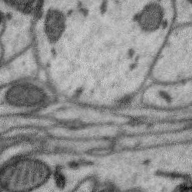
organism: Zebra finch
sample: Brain